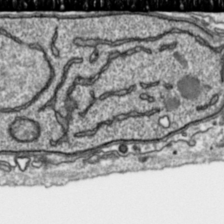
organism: Toxoplasma gondii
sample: Parasites in a vacuole inside a host cell